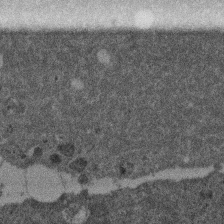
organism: Mouse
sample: Dividing mouse embryo 1 cell stage